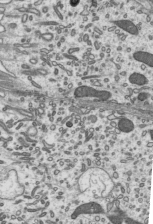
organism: Mouse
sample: Mouse epididymis efferent ductule cilia